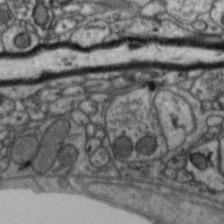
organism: Zebra finch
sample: Brain